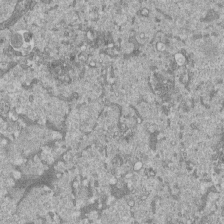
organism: Mouse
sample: ED-1 cell nuclei; centrioles